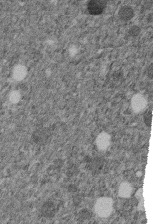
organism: C. elegans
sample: C. elegans embryo early stage